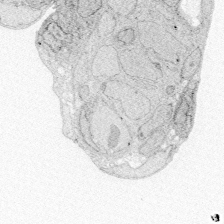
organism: Zebrafish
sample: Whole-Brain